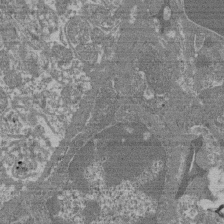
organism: Mouse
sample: Glomerulus